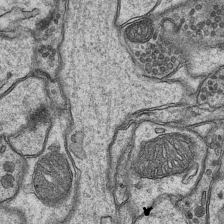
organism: Mouse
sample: CA1 Hippocampus